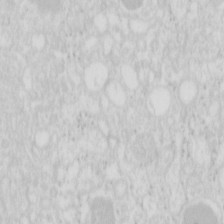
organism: Mouse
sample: Pancreas